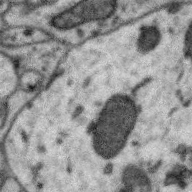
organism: Zebra finch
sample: Brain